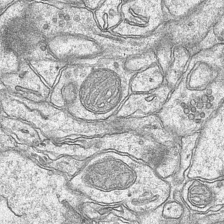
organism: Mouse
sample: CA1 Hippocampus